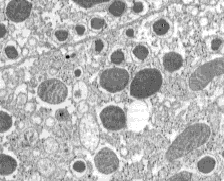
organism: C57BL Mouse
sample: Pancreatic islet